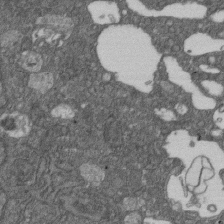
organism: Drosophila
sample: Nephrocyte